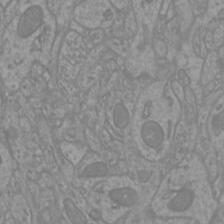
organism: Mouse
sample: Cortical neurons